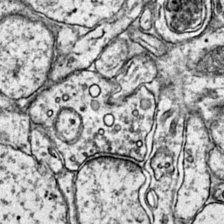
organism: Mouse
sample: Primary visual cortex